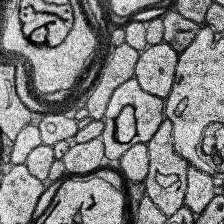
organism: Human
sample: Temporal Lobe